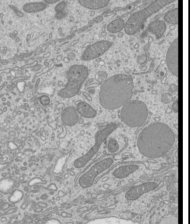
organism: Mouse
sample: Cilia; mouse epididymis